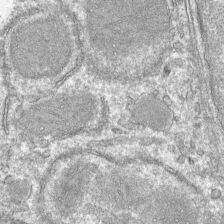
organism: Mouse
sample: Mouse hepatocytes